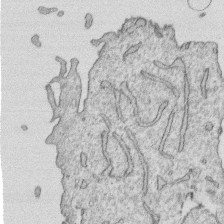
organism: Human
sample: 1205lu cells